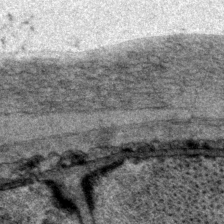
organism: P. pacificus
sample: Pharynx